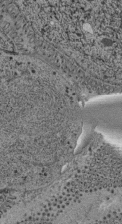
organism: C. elegans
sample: C. elegans pharynx